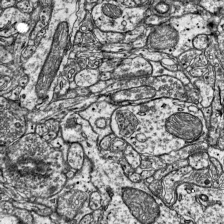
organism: Mouse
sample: Visual Cortex